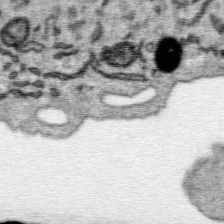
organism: Human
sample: HeLa cells